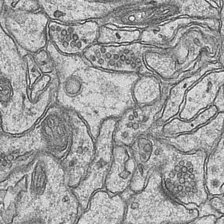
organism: Mouse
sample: CA1 Hippocampus